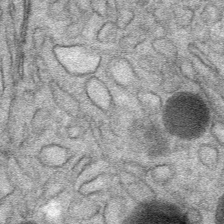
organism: Mouse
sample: Mouse Salivary gland